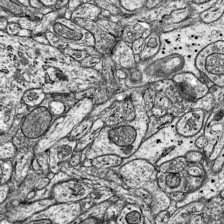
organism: Mouse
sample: Visual Cortex